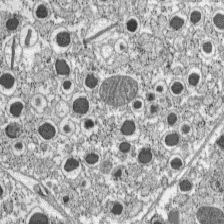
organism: C57BL Mouse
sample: Pancreatic islet